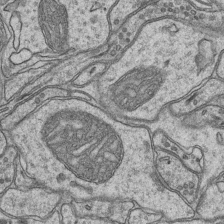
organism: Mouse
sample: CA1 Hippocampus